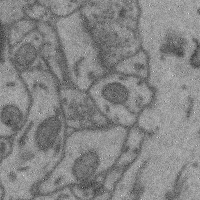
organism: Mouse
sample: Cerebral cortex